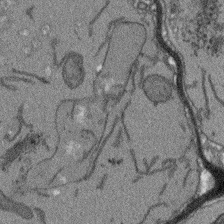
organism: Arabidopsis thaliana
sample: Root tip